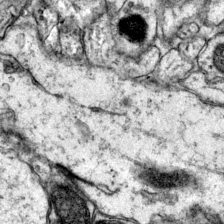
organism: Mouse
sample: Primary visual cortex